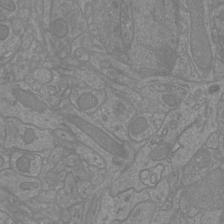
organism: Mouse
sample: Cortical neurons